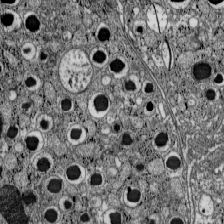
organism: C57BL Mouse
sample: Pancreatic islet